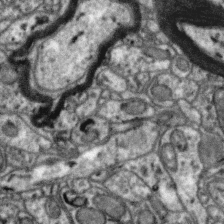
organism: Zebra finch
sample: Brain